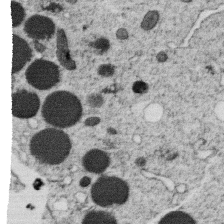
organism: C. elegans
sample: C. elegans oocyte; sperm cells